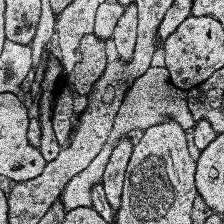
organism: Human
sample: Temporal Lobe